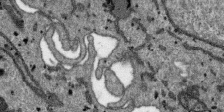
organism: Human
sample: Lung epithelial cells, uninfected (mock) control